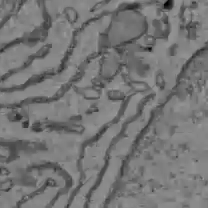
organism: C57BL Mouse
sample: Liver